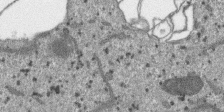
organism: Human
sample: Lung epithelial cells infected with SARS-CoV-2